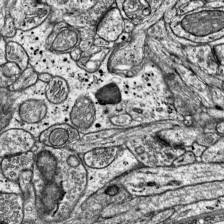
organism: Mouse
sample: Visual Cortex